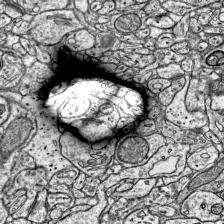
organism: Mouse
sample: Visual Cortex